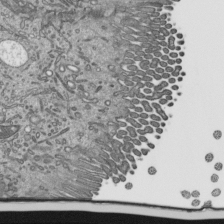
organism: Mouse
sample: Mouse epididymis efferent ductule cilia